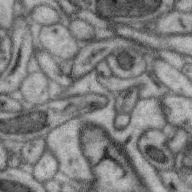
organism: Zebra finch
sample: Brain